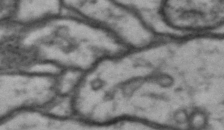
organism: Drosophila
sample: Brain